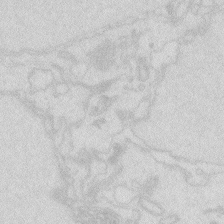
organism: Zebrafish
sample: Macrophage